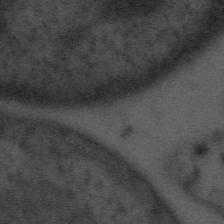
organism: Tuwongella immobilis